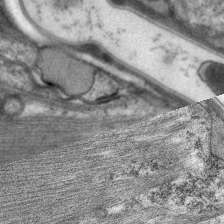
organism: C. elegans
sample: Pharynx